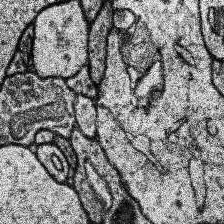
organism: Human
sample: Temporal Lobe